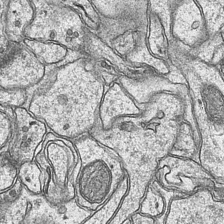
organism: Mouse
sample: CA1 Hippocampus